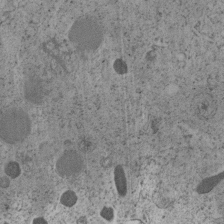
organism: C. elegans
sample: C. elegans embryo early stage